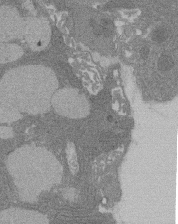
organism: Rat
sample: Salivary granule